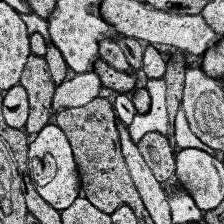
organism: Human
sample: Temporal Lobe